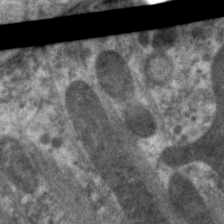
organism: C. elegans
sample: Pharynx